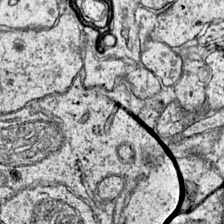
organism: Mouse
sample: Primary visual cortex